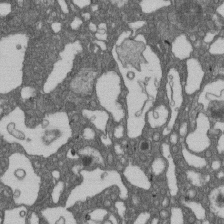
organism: Drosophila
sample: Nephrocyte